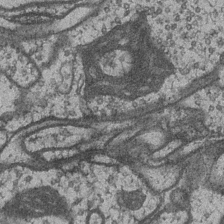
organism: Drosophila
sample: Optic medulla